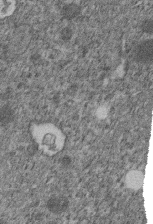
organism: C. elegans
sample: C. elegans embryo early stage